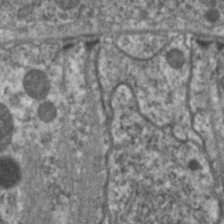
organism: C. elegans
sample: Pharynx